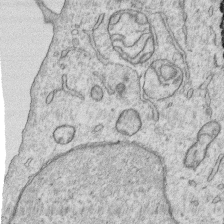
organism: Human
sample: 1205lu cells